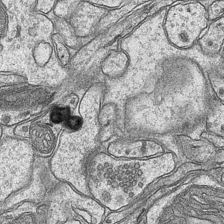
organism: Mouse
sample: CA1 Hippocampus